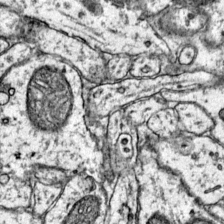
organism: Mouse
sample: Primary visual cortex